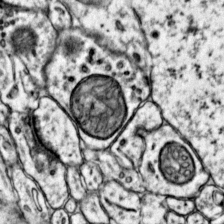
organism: Mouse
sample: Primary visual cortex